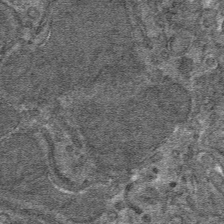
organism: Mouse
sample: Mouse hepatocytes